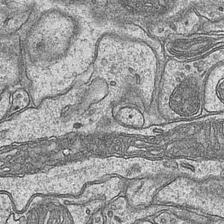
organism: Mouse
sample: CA1 Hippocampus